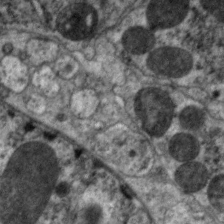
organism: C. elegans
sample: Pharynx